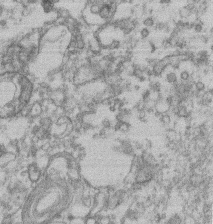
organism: Mouse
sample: T cell stromal cell synapse